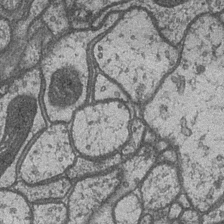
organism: Drosophila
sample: Optic medulla